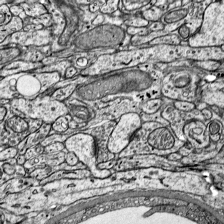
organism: Mouse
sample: Visual Cortex